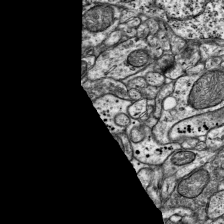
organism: Mouse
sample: Visual Cortex